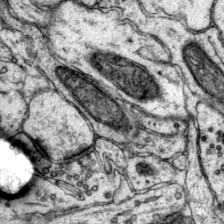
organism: Mouse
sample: Primary visual cortex